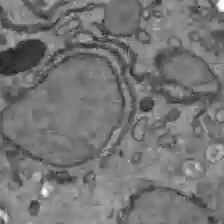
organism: C57BL Mouse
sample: Liver